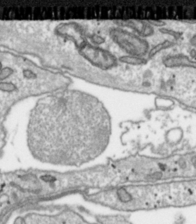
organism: Toxoplasma gondii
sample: Parasites in a vacuole inside a host cell